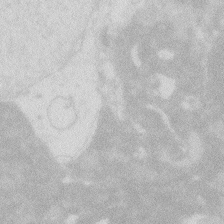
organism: Zebrafish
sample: Macrophage